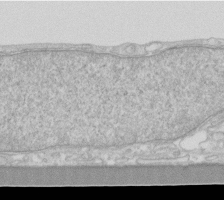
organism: Human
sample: Fibroblast cells